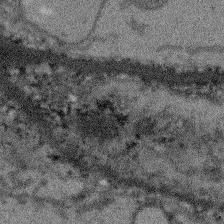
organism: Arabidopsis thaliana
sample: Root tip